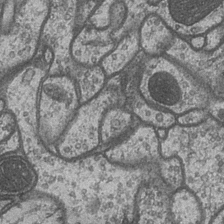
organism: Drosophila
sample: Optic medulla